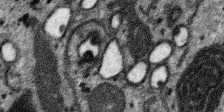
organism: Human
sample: Lung epithelial cells infected with SARS-CoV-2